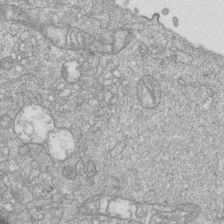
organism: Human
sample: HeLa cell HIV synapse